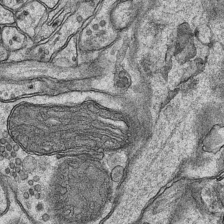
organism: Mouse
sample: CA1 Hippocampus